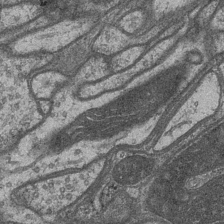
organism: Drosophila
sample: Optic medulla